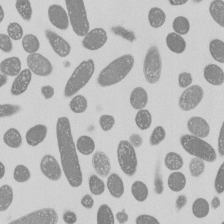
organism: E. coli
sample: Bacterial nucleoid